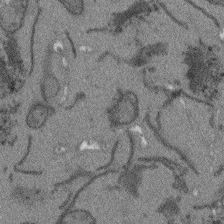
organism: Arabidopsis thaliana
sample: Root tip